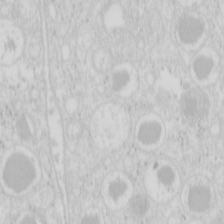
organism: Mouse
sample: Pancreas